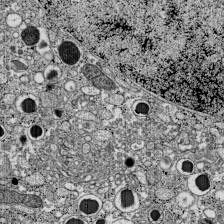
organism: C57BL Mouse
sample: Pancreatic islet